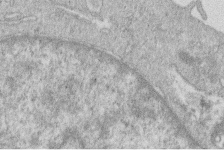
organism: Human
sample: Macrophage cells